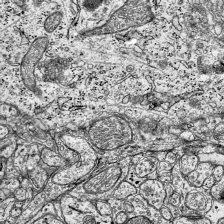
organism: Mouse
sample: Visual Cortex